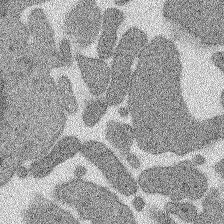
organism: Human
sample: HeLa cells